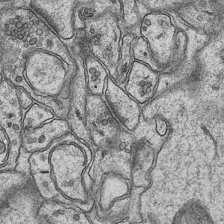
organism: Mouse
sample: CA1 Hippocampus